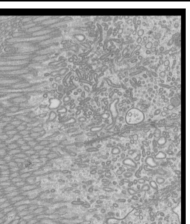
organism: Mouse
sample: Cilia; mouse epididymis